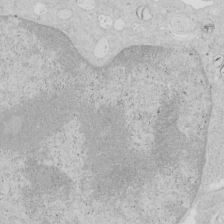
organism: Human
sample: Mitochondria in HCT116 cells